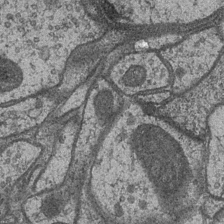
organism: Drosophila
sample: Optic medulla